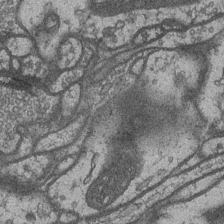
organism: Drosophila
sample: Optic medulla